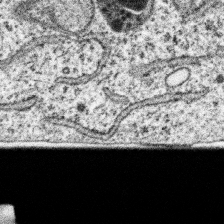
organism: Human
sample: HeLa cells